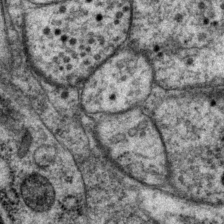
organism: P. pacificus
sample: Pharynx